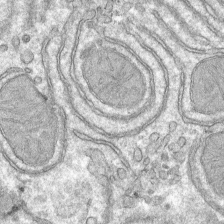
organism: Mouse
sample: Mouse hepatocytes